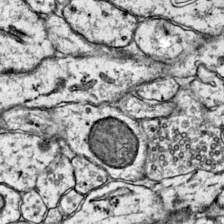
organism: Mouse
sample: Primary visual cortex